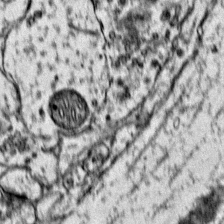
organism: Mouse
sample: Primary visual cortex